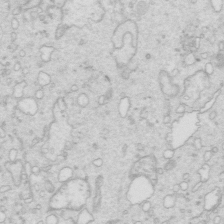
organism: Mouse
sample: Multiciliated cells